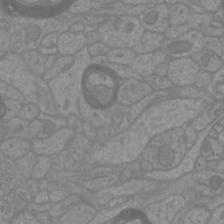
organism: Mouse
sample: Cortical neurons